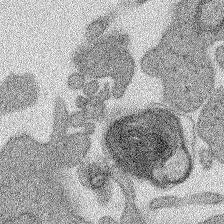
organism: Human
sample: HeLa cells